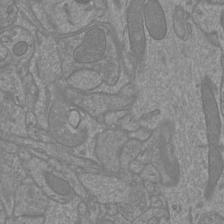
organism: Mouse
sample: Cortical neurons